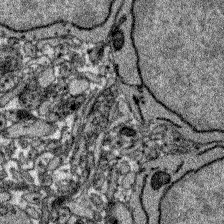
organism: Zebrafish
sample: Larval olfactory bulb